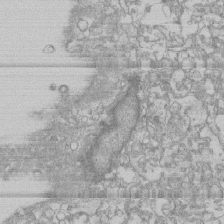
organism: Human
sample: CRL-1474